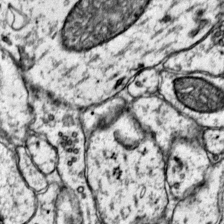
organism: Mouse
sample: Primary visual cortex